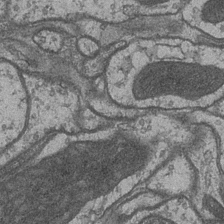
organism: Drosophila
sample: Optic medulla